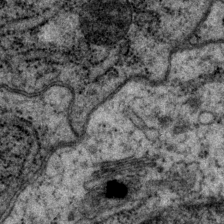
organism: P. pacificus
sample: Pharynx